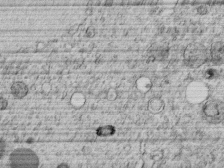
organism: C. elegans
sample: C. elegans embryo early stage